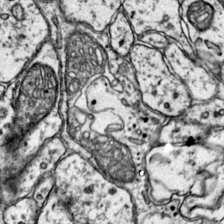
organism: Mouse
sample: Primary visual cortex